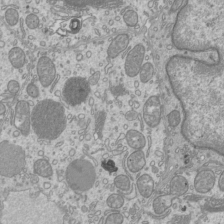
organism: Mouse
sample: Cilia; mouse epididymis